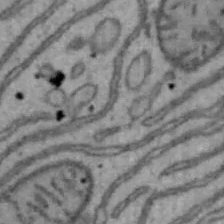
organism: Mouse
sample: Liver